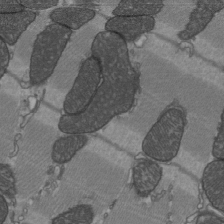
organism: C57BL Mouse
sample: Heart